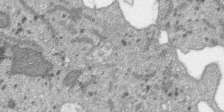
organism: Human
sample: Lung epithelial cells infected with SARS-CoV-2